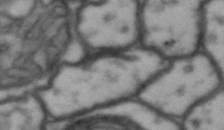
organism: Drosophila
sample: Brain